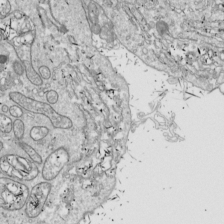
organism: Drosophila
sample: Cell division; meiosis; drosophila spermatocytes